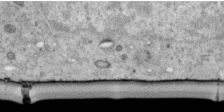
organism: Human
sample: Centriole in RPE cells